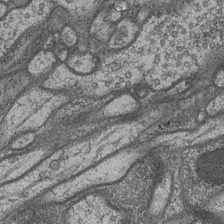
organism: Drosophila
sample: Optic medulla